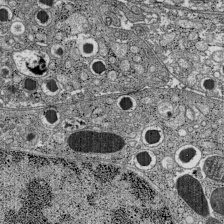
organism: C57BL Mouse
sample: Pancreatic islet